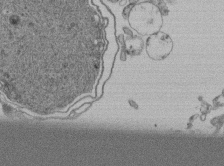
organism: Human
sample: Retinal organoid Rod and Cone cells